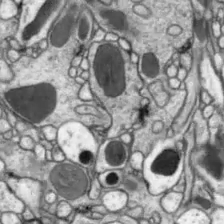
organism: Drosophila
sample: Optic lobe